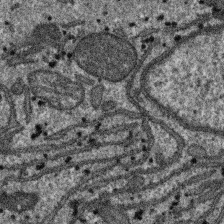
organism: Human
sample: Lung epithelial cells infected with SARS-CoV-2